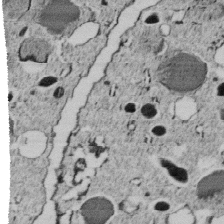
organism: C. elegans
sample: C. elegans embryo early stage